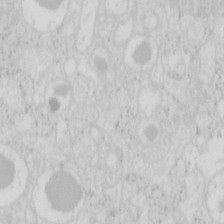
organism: Mouse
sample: Pancreas